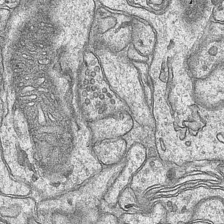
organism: Mouse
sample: CA1 Hippocampus